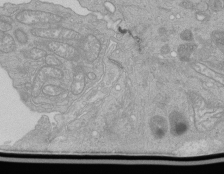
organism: Human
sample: Retinal organoid Rod and Cone cells